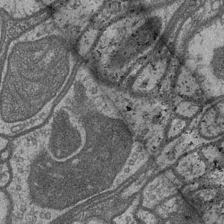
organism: Drosophila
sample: Optic medulla